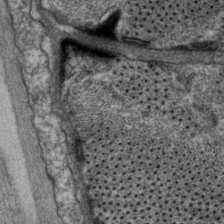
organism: P. pacificus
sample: Pharynx